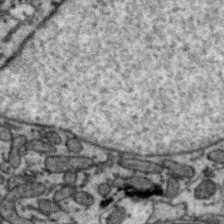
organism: Zebra finch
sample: Brain